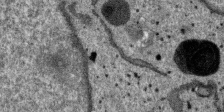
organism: Human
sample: Lung epithelial cells, uninfected (mock) control